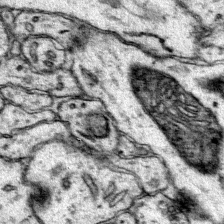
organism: Mouse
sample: Primary visual cortex